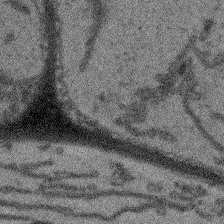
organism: Arabidopsis thaliana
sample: Root tip